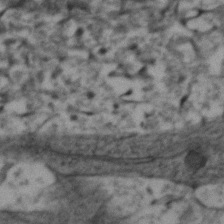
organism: Zebrafish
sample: Zebrafish embryo